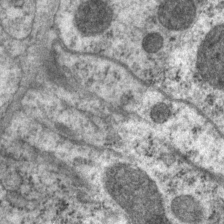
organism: P. pacificus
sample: Pharynx